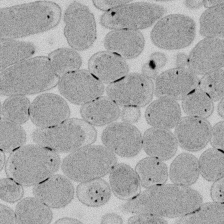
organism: E. coli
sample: Bacterial nucleoid